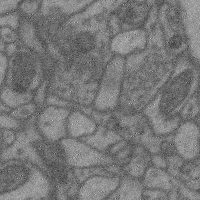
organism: Mouse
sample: Cerebral cortex